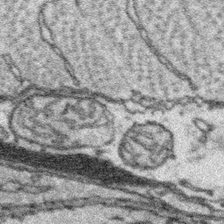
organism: Platynereis dumerilii